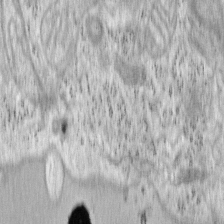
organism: Human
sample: HeLa cells